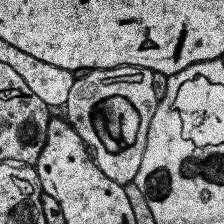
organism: Human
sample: Temporal Lobe